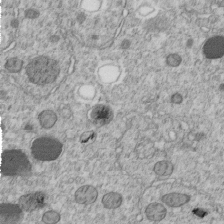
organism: C. elegans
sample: C. elegans embryo early stage